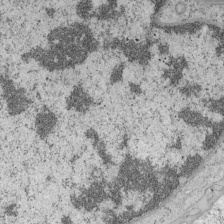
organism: Mouse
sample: OT-I killer T cells with ID8 ovarian cancer cells